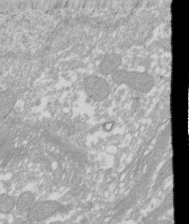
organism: Xenopus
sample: Cilia; centrioles in frog embryo cells